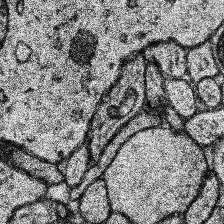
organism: Human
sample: Temporal Lobe